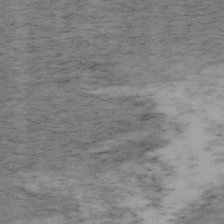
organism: Mouse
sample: OT-I killer T cells with ID8 ovarian cancer cells